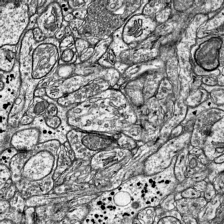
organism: Mouse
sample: Visual Cortex